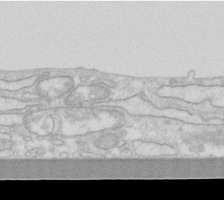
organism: Human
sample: Fibroblast cells